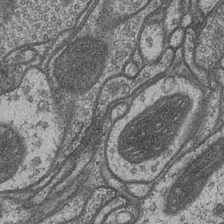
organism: Drosophila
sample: Optic medulla